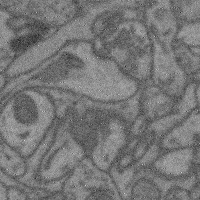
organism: Mouse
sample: Cerebral cortex